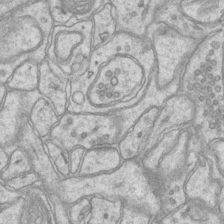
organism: Mouse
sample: CA1 Hippocampus